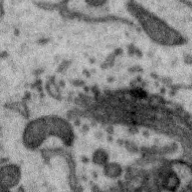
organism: Zebra finch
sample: Brain